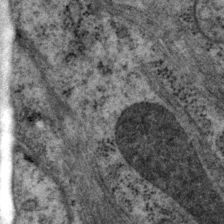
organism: P. pacificus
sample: Pharynx